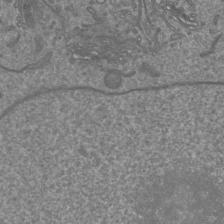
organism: Mouse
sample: Cortical neurons